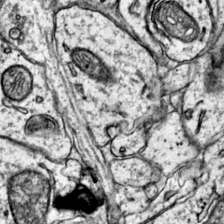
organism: Mouse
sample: Primary visual cortex